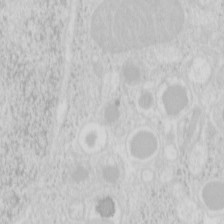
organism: Mouse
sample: Pancreas